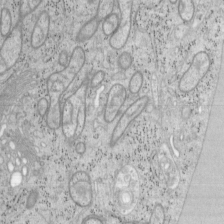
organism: Mouse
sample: OT-I killer T cells with ID8 ovarian cancer cells